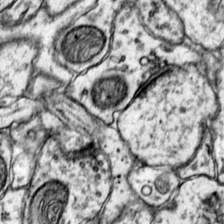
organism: Mouse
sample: Primary visual cortex